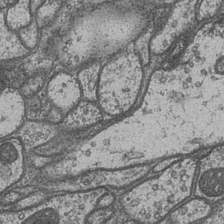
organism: Drosophila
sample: Optic medulla